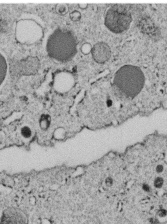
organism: C. elegans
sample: C. elegans embryo early stage